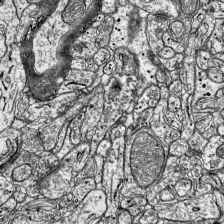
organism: Mouse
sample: Visual Cortex